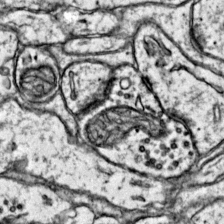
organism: Mouse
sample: Primary visual cortex